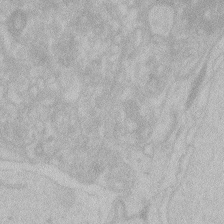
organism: Zebrafish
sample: Macrophage infected with Toxoplasma gondii